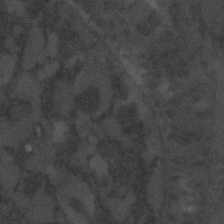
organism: C. elegans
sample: C. elegans embryo